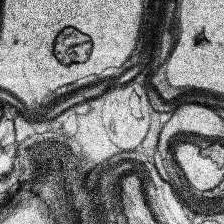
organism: Human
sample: Temporal Lobe